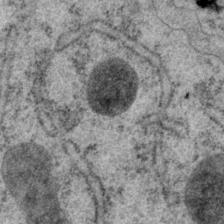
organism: P. pacificus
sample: Pharynx